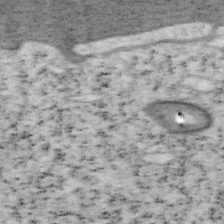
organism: Mouse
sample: OT-I killer T cells with ID8 ovarian cancer cells